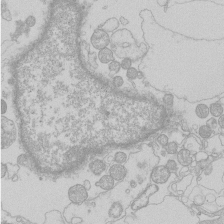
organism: Human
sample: Macrophage cells